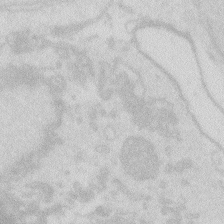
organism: Zebrafish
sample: Macrophage